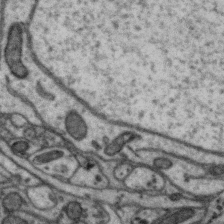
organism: Zebra finch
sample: Brain